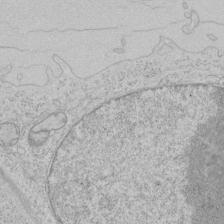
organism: Human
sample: Mitochondria in HCT116 cells